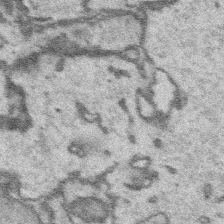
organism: Platynereis dumerilii